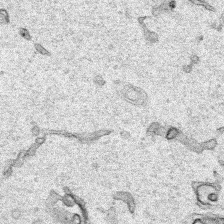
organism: Human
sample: Mitochondria in HCT116 cells